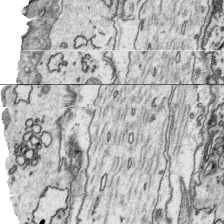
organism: Platynereis dumerilii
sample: Parapodia